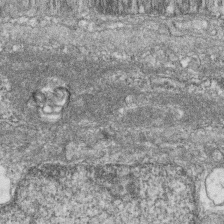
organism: Zebrafish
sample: Cilia; retinal pigment epithelium